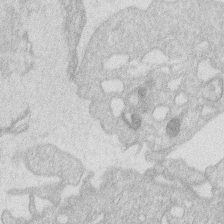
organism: Human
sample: Macrophage cells